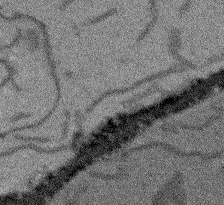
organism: Arabidopsis thaliana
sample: Root tip